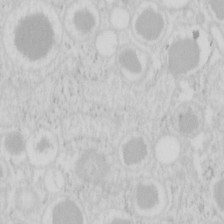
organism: Mouse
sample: Pancreas